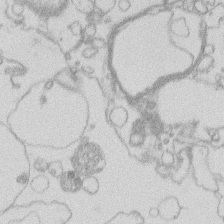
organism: Human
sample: Macrophage cells